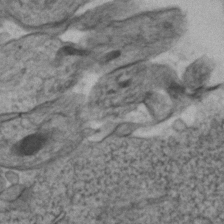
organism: Zebrafish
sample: Zebrafish embryo